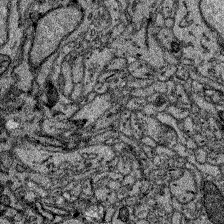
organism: Zebrafish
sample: Larval olfactory bulb